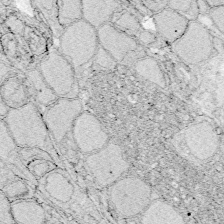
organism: Zebrafish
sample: Whole-Brain